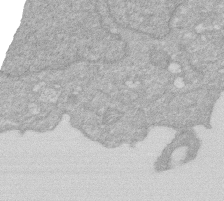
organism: Human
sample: HIV infected U937 cells